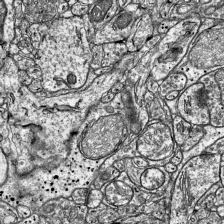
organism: Mouse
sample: Visual Cortex